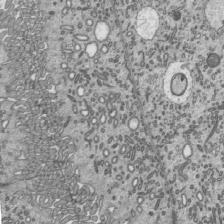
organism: Mouse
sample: Mouse epididymis efferent ductule cilia